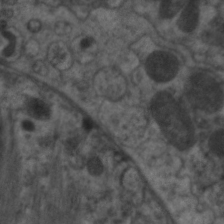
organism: C. elegans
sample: Pharynx